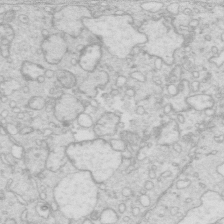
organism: Mouse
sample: Multiciliated cells